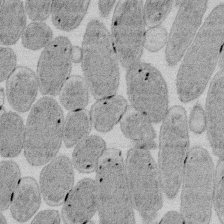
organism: E. coli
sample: Bacterial nucleoid